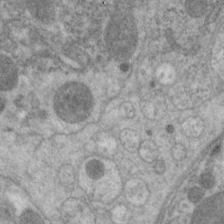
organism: C. elegans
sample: Pharynx